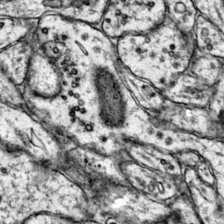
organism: Mouse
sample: Primary visual cortex